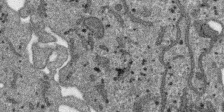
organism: Human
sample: Lung epithelial cells infected with SARS-CoV-2